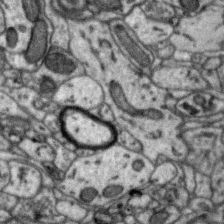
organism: Zebra finch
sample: Brain